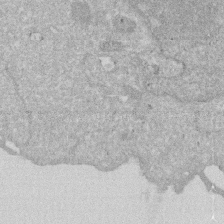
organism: Human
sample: HIV infected U937 cells